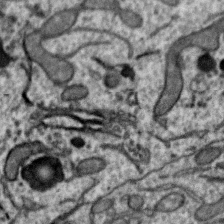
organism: Zebra finch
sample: Brain